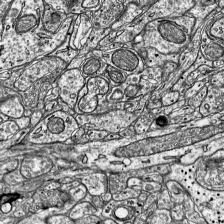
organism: Mouse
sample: Visual Cortex